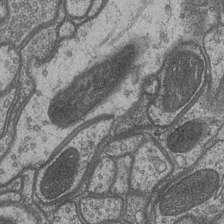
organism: Drosophila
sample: Optic medulla